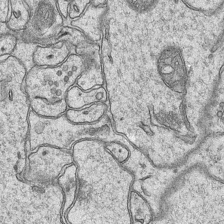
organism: Mouse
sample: CA1 Hippocampus